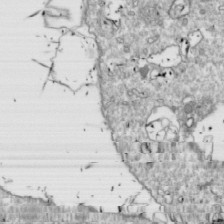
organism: Drosophila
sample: Cell division; meiosis; drosophila spermatocytes